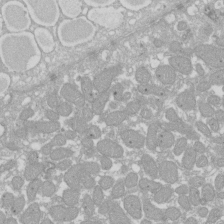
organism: Xenopus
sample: Cilia; centrioles in frog embryo cells